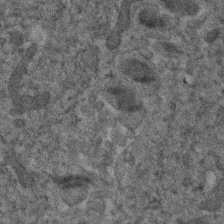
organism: Human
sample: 1205lu cells